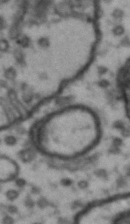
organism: Drosophila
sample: Brain